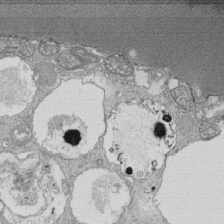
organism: Tetrahymena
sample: Cilia in tetrahymena